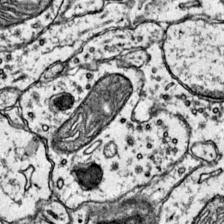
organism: Mouse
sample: Primary visual cortex